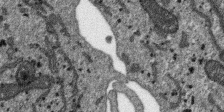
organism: Human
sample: Lung epithelial cells infected with SARS-CoV-2